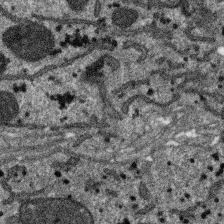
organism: Human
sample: Lung epithelial cells infected with SARS-CoV-2